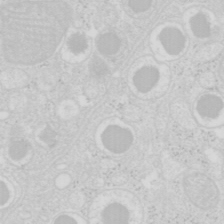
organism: Mouse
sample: Pancreas